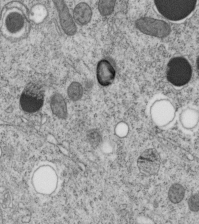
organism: C. elegans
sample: C. elegans embryo early stage